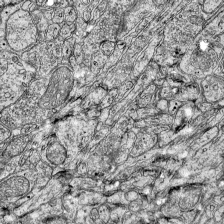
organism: Mouse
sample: Visual Cortex